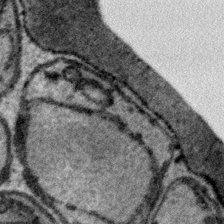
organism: Plasmodium falciparum